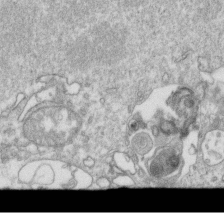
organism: Mouse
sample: Activated OT-1 CD8+ T cells